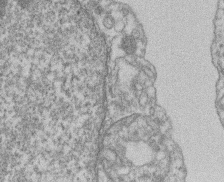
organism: Mouse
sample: T cell stromal cell synapse